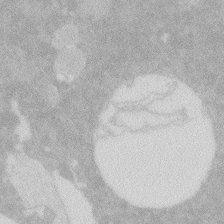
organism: Zebrafish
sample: Macrophage